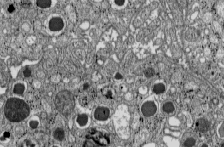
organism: C57BL Mouse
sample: Pancreatic islet